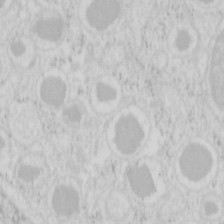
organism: Mouse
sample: Pancreas